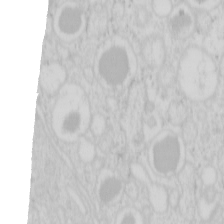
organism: Mouse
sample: Pancreas